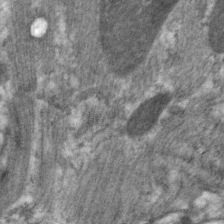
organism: C. elegans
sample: Pharynx